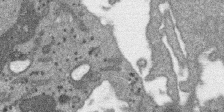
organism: Human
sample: Lung epithelial cells infected with SARS-CoV-2